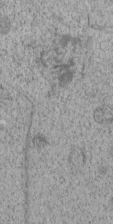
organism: C. elegans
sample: C. elegans embryo early stage